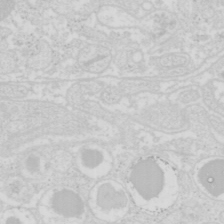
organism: Mouse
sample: Pancreas